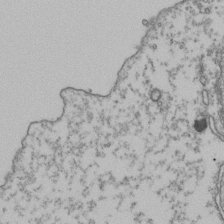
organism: Human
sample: Activated Jurkat CD4+ T cells